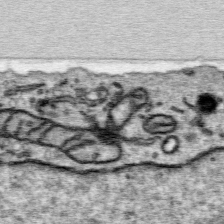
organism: Human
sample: HeLa cells